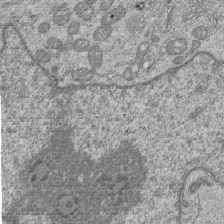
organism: Human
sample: MDA-MB-231 cells